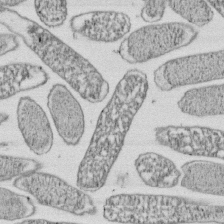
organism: E. coli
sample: Bacterial nucleoid